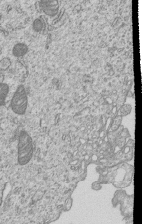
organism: Human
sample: MDA-MB-231 cells